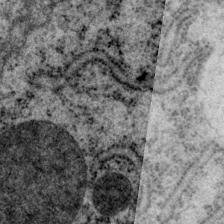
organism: P. pacificus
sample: Pharynx